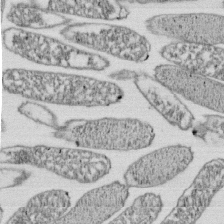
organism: E. coli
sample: Bacterial nucleoid